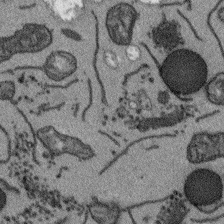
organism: Arabidopsis thaliana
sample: Root tip